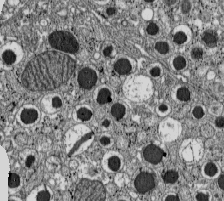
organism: C57BL Mouse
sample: Pancreatic islet